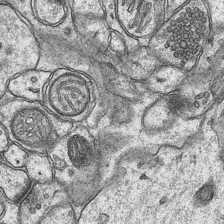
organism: Mouse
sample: CA1 Hippocampus